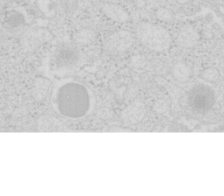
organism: Mouse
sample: Pancreas